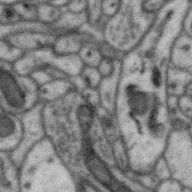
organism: Zebra finch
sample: Brain